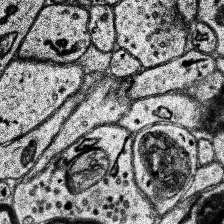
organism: Human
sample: Temporal Lobe